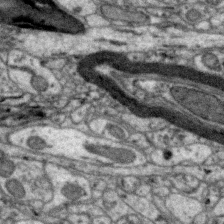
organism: Zebra finch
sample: Brain